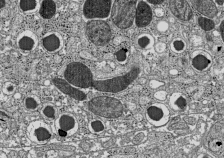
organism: C57BL Mouse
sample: Pancreatic islet